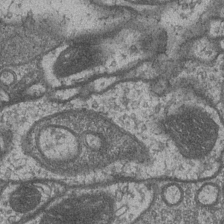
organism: Drosophila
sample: Optic medulla